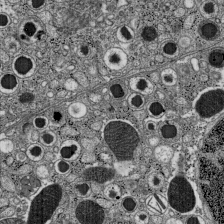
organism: C57BL Mouse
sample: Pancreatic islet